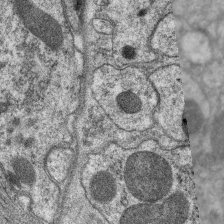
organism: C. elegans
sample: Pharynx